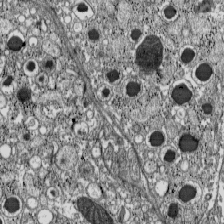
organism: C57BL Mouse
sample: Pancreatic islet